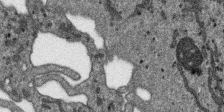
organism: Human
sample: Lung epithelial cells infected with SARS-CoV-2